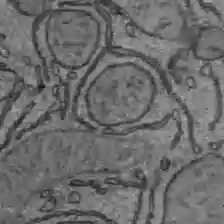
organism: C57BL Mouse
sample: Liver